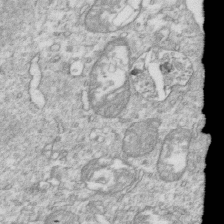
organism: Mouse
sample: Activated OT-1 CD8+ T cells